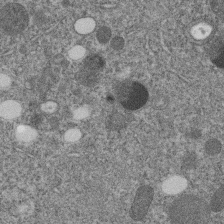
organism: C. elegans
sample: C. elegans embryo early stage